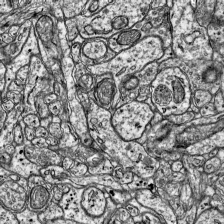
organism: Mouse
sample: Visual Cortex